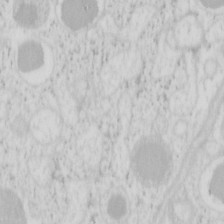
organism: Mouse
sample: Pancreas